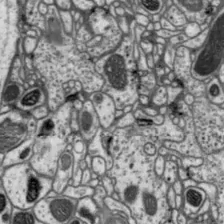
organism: Drosophila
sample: Protocerebral bridge